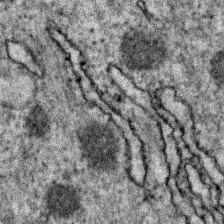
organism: Zebrafish